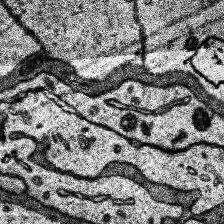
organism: Human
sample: Temporal Lobe